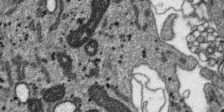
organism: Human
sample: Lung epithelial cells infected with SARS-CoV-2